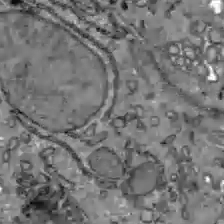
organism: C57BL Mouse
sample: Liver